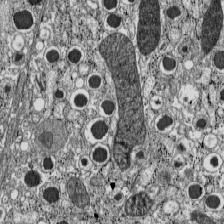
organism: C57BL Mouse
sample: Pancreatic islet